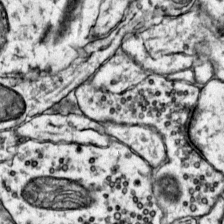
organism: Mouse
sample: Primary visual cortex